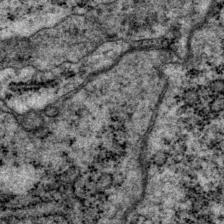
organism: P. pacificus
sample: Pharynx